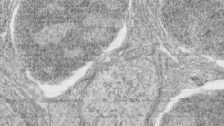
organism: Zebrafish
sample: synaptic ribbons in rod cells and cone cells